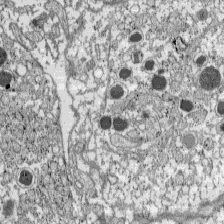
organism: C57BL Mouse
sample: Pancreatic islet